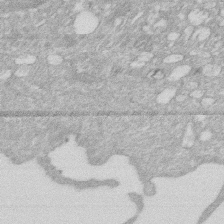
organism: Human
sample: HIV infected U937 cells